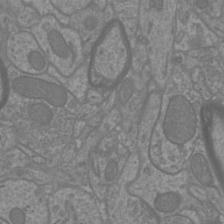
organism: Mouse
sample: Cortical neurons